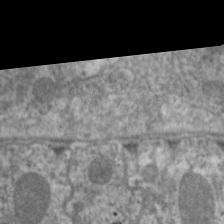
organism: C. elegans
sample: Pharynx